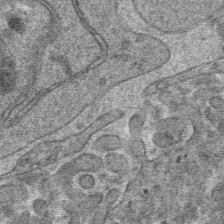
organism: Mouse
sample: Mouse hepatocytes